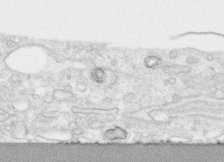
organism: Human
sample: CRL-1474